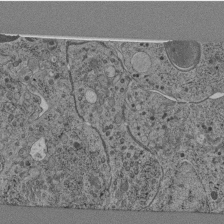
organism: C. elegans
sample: C. elegans pharynx